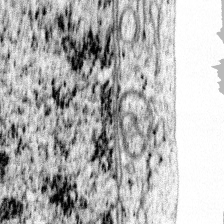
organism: Human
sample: HeLa cells